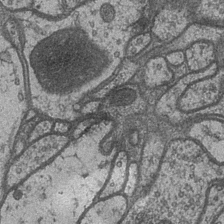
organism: Drosophila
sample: Optic medulla